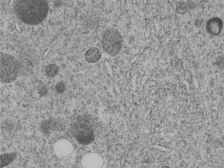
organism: C. elegans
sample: C. elegans embryo early stage